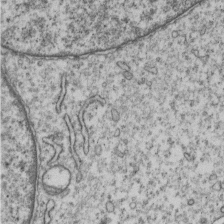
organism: Human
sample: MDA-MB-231 cells